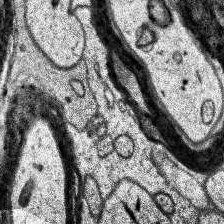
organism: Human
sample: Temporal Lobe